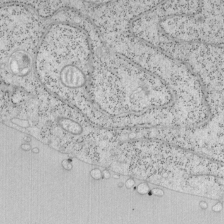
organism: Mouse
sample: OT-I killer T cells with ID8 ovarian cancer cells